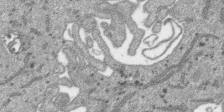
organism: Human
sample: Lung epithelial cells infected with SARS-CoV-2